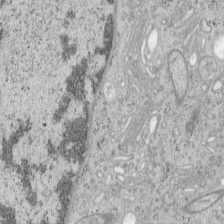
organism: Mouse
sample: OT-I killer T cells with ID8 ovarian cancer cells